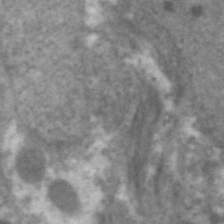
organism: C. elegans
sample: Pharynx